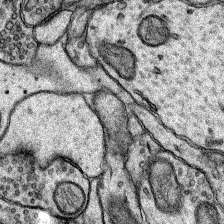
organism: Rat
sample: Hippocampus